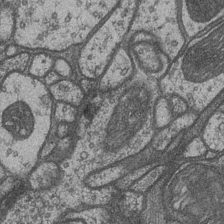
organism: Drosophila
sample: Optic medulla